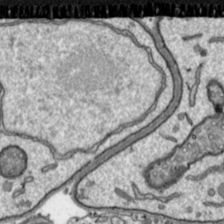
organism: Toxoplasma gondii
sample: Parasites in a vacuole inside a host cell